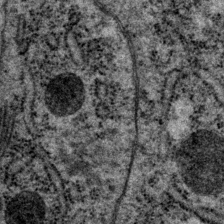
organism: P. pacificus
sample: Pharynx